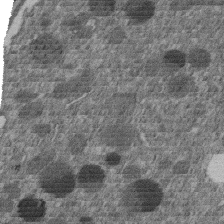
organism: C. elegans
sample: C. elegans embryo early stage